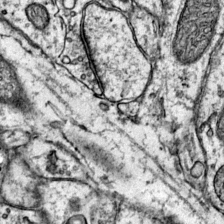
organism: Mouse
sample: Primary visual cortex